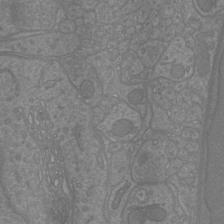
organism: Mouse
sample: Cortical neurons